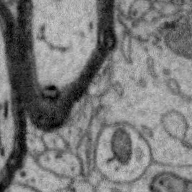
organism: Zebra finch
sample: Brain